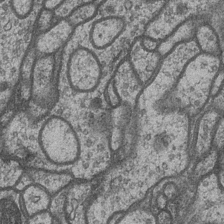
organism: Drosophila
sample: Optic medulla